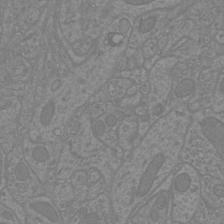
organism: Mouse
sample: Cortical neurons